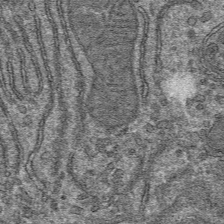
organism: Mouse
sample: Mouse hepatocytes